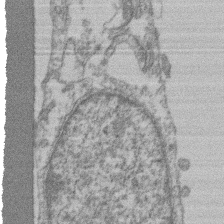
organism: Mouse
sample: T cell stromal cell synapse